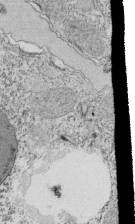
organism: Tetrahymena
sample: Cilia in tetrahymena